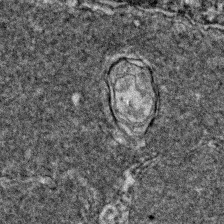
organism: Zebrafish